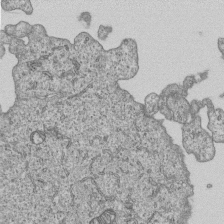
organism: Human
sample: MDA-MB-231 cells